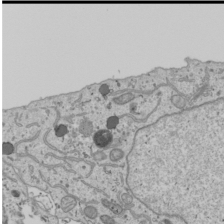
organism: Human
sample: Mitochondria in U2OS cells